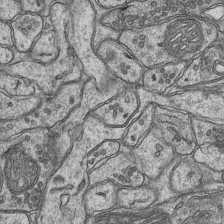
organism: Mouse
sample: CA1 Hippocampus